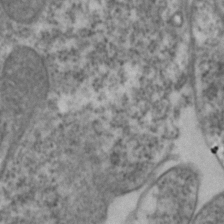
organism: Zebrafish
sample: Zebrafish embryo